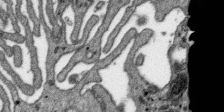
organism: Human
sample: Lung epithelial cells, uninfected (mock) control